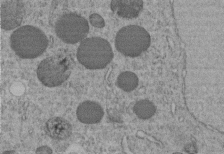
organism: C. elegans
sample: C. elegans embryo early stage